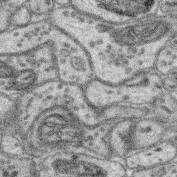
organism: Mouse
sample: Retina